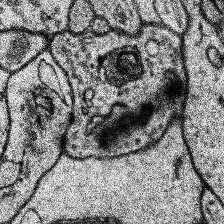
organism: Human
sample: Temporal Lobe